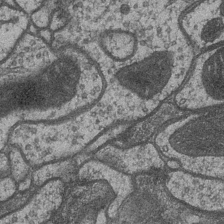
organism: Drosophila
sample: Optic medulla